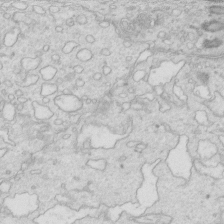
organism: Mouse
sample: Multiciliated cells